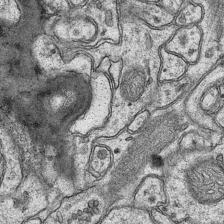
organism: Mouse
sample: CA1 Hippocampus